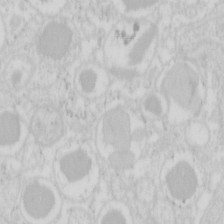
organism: Mouse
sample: Pancreas